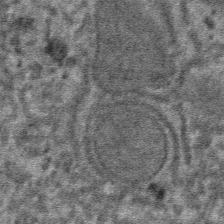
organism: Mouse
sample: Mouse hepatocytes